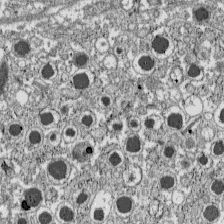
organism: C57BL Mouse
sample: Pancreatic islet